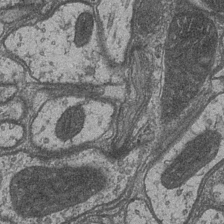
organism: Drosophila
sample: Optic medulla